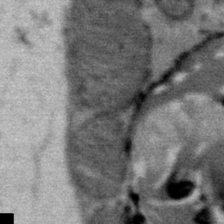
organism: Mouse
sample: Mouse Salivary gland